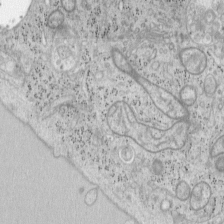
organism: Mouse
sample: OT-I killer T cells with ID8 ovarian cancer cells